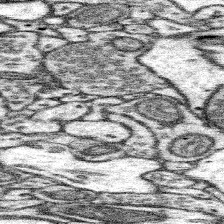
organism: Mouse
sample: Somatosensory cortex neuropil